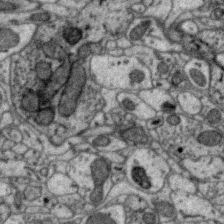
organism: Zebra finch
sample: Brain